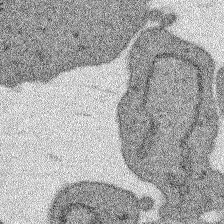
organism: Human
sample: HeLa cells